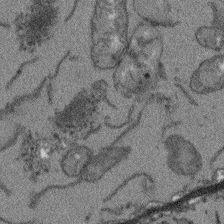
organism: Arabidopsis thaliana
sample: Root tip